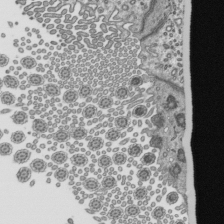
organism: Mouse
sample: Mouse epididymis efferent ductule cilia